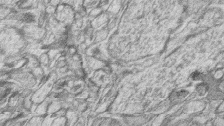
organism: Zebrafish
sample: synaptic ribbons in rod cells and cone cells